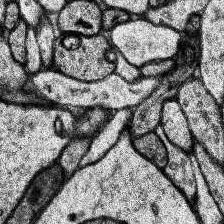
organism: Human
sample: Temporal Lobe